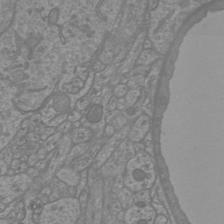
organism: Mouse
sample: Cortical neurons